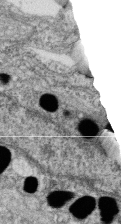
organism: Zebrafish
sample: Cilia; retinal pigment epithelium